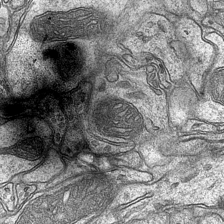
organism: Mouse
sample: CA1 Hippocampus